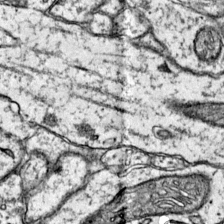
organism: Mouse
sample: Primary visual cortex